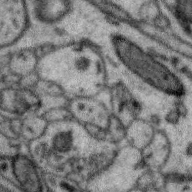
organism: Zebra finch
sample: Brain